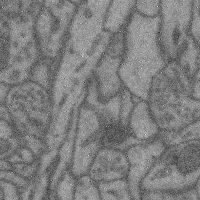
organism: Mouse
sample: Cerebral cortex